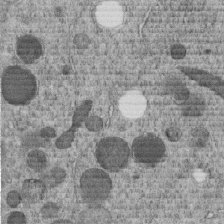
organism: C. elegans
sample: C. elegans embryo early stage